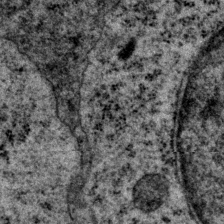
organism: P. pacificus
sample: Pharynx